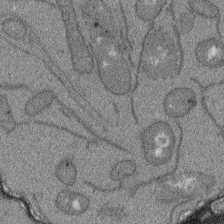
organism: Arabidopsis thaliana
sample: Root tip